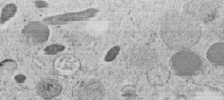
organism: C. elegans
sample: C. elegans embryo early stage